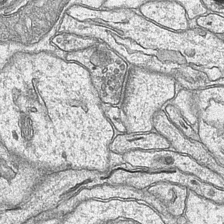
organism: Mouse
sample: CA1 Hippocampus